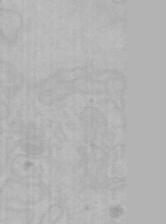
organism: Mouse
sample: Choroid plexus